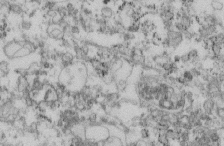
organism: Mouse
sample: Cilia; retinal pigment epithelium